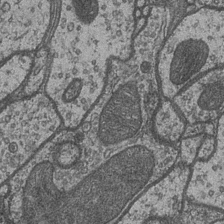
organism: Drosophila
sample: Optic medulla